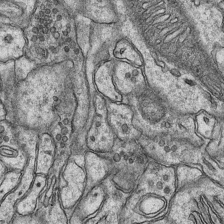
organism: Mouse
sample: CA1 Hippocampus